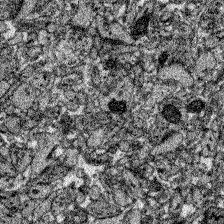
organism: Zebrafish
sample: Larval olfactory bulb